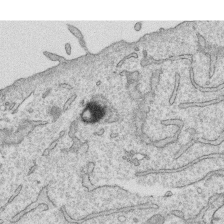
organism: Human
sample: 1205lu cells